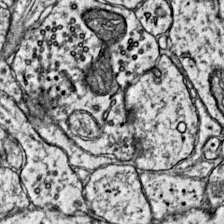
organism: Mouse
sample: Primary visual cortex